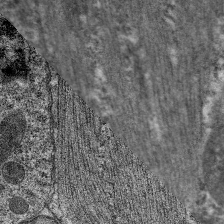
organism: C. elegans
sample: Pharynx